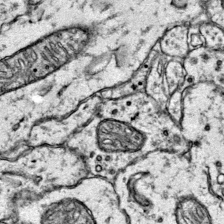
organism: Mouse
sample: Primary visual cortex